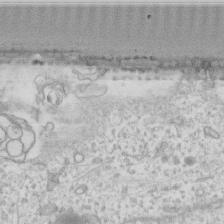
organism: Human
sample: Fibroblast cells